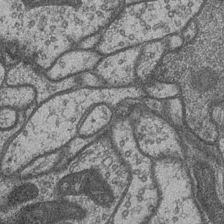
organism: Drosophila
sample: Optic medulla